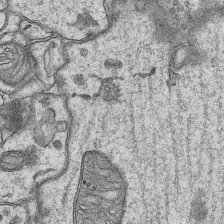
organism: Mouse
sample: CA1 Hippocampus